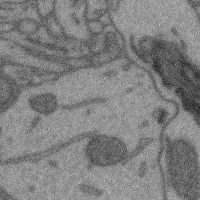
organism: Mouse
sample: Cerebral cortex